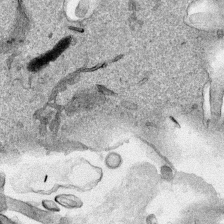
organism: Human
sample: Mitochondria in HCT116 cells